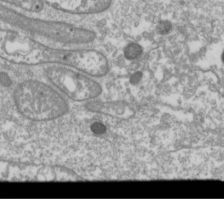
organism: Drosophila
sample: Cell division; meiosis; drosophila spermatocytes